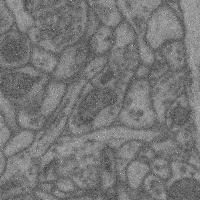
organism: Mouse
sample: Cerebral cortex